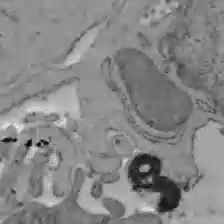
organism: C57BL Mouse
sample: Liver